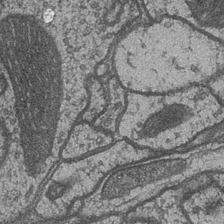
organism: Drosophila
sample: Optic medulla